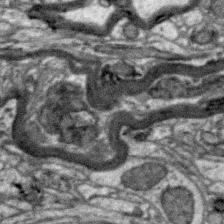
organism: Zebra finch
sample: Brain